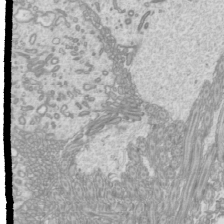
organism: Mouse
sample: Cilia; mouse epididymis